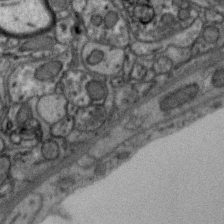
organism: Zebra finch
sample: Brain